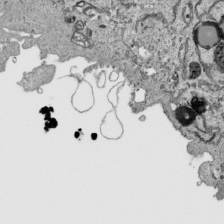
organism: Human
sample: Mitochondria in HCT116 cells